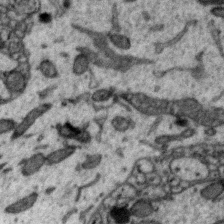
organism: Zebra finch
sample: Brain